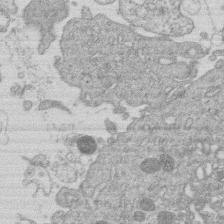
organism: Human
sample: Macrophage cells